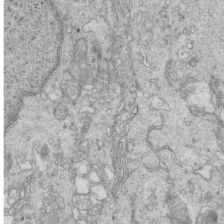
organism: Mouse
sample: Multiciliated cells